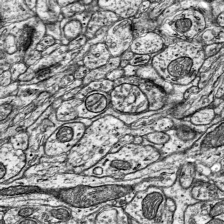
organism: Mouse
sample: Visual Cortex